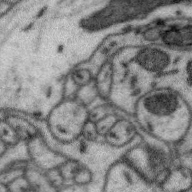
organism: Zebra finch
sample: Brain